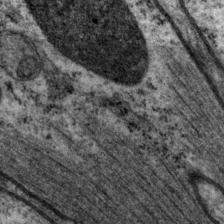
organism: P. pacificus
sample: Pharynx